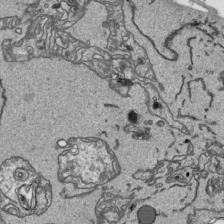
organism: Human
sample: Mitochondria in HCT116 cells